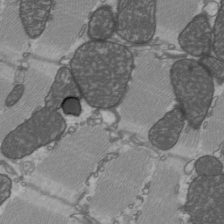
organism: C57BL Mouse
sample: Heart